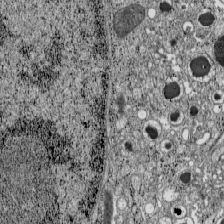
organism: C57BL Mouse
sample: Pancreatic islet